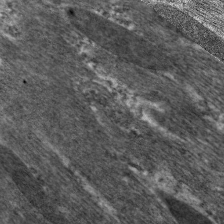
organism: C. elegans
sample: Pharynx